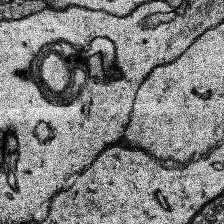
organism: Human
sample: Temporal Lobe